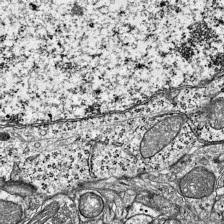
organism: Mouse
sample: Visual Cortex